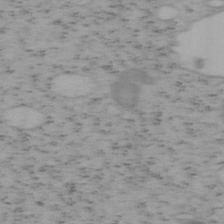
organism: Mouse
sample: OT-I killer T cells with ID8 ovarian cancer cells